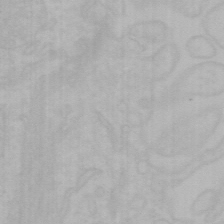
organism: Mouse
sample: Choroid plexus